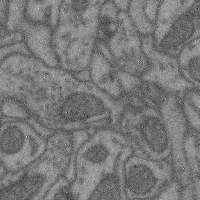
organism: Mouse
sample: Cerebral cortex